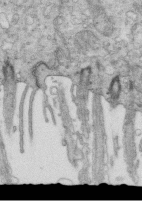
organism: Mouse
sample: Multiciliated cells